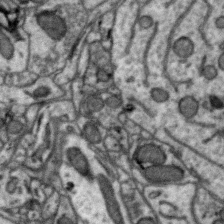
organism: Zebra finch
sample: Brain